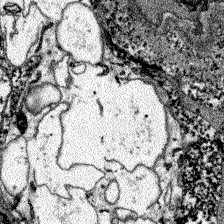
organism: Zebrafish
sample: Larval olfactory bulb